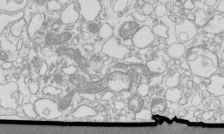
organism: Mouse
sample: Macrophages